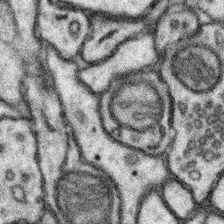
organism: Mouse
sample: Somatosensory cortex neuropil